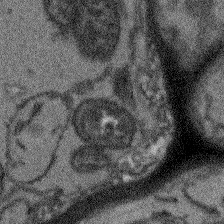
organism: Arabidopsis thaliana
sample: Root tip